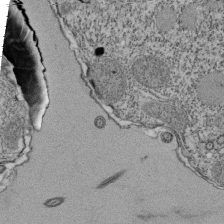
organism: Tetrahymena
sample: Cilia in tetrahymena